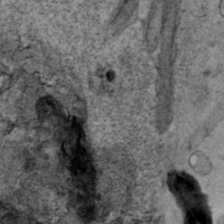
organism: Human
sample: Mitochondria in HCT116 cells